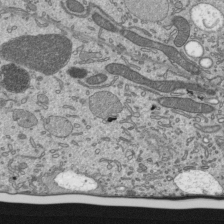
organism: Mouse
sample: Mouse epididymis efferent ductule cilia